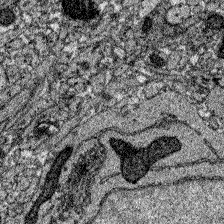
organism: Zebrafish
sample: Larval olfactory bulb